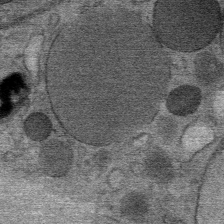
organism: Mouse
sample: Mouse Salivary gland